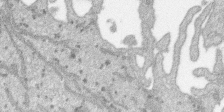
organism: Human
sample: Lung epithelial cells infected with SARS-CoV-2